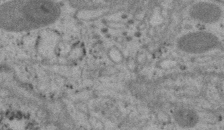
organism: Human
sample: HeLa cells